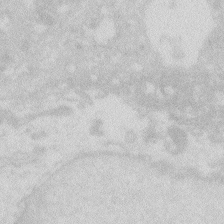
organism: Zebrafish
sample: Macrophage